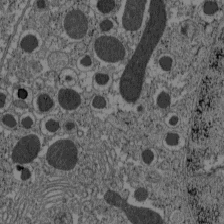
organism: C57BL Mouse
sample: Pancreatic islet